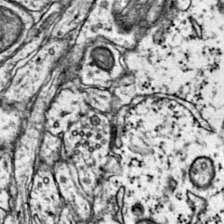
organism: Mouse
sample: Primary visual cortex